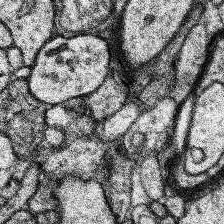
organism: Human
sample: Temporal Lobe